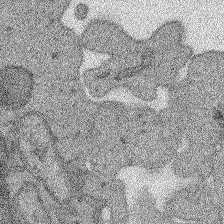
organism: Human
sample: HeLa cells